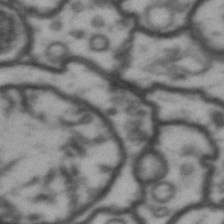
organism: Drosophila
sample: Brain